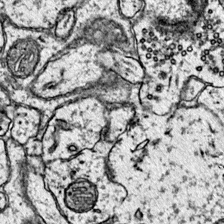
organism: Mouse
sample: Primary visual cortex